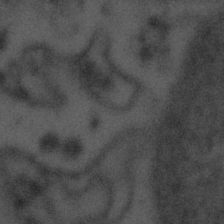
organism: Tuwongella immobilis